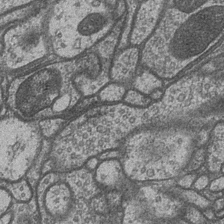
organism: Drosophila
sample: Optic medulla